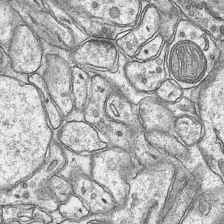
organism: Mouse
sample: CA1 Hippocampus